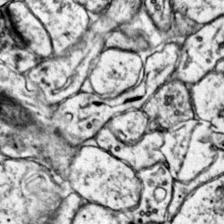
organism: Mouse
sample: Primary visual cortex